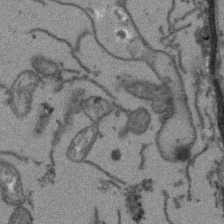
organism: Arabidopsis thaliana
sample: Root tip